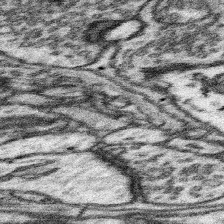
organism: Mouse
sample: Somatosensory cortex neuropil